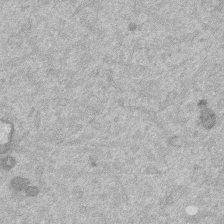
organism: Mouse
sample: Dividing mouse embryo 1 cell stage